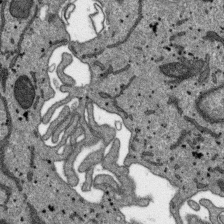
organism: Human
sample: Lung epithelial cells, uninfected (mock) control